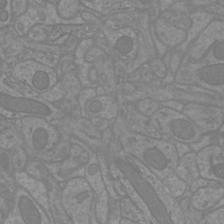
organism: Mouse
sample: Cortical neurons